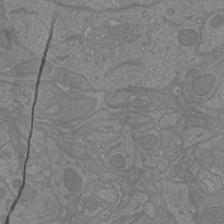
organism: Mouse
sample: Cortical neurons